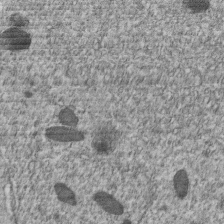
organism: C. elegans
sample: C. elegans embryo early stage